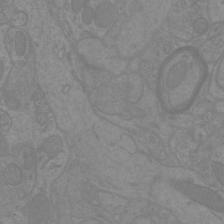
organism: Mouse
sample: Cortical neurons